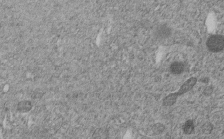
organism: C. elegans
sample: C. elegans embryo early stage